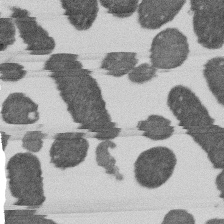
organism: E. coli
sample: Bacterial nucleoid